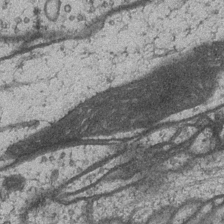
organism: Drosophila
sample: Optic medulla